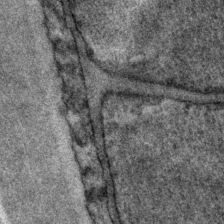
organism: P. pacificus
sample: Pharynx